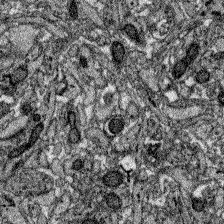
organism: Zebrafish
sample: Larval olfactory bulb